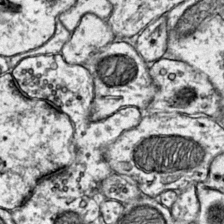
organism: Mouse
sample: Primary visual cortex